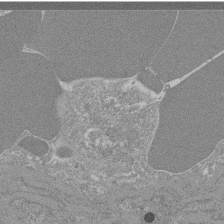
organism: Mouse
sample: Glomerulus